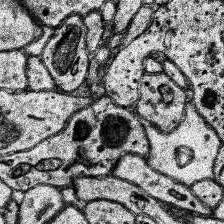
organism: Human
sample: Temporal Lobe